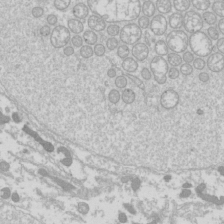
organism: Drosophila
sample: Cell division; meiosis; drosophila spermatocytes